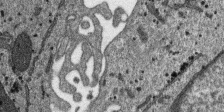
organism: Human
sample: Lung epithelial cells infected with SARS-CoV-2